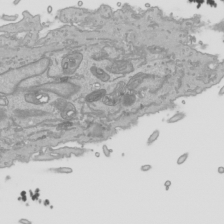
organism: Human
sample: Mitochondria in HCT116 cells